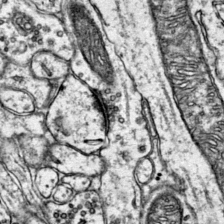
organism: Mouse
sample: Primary visual cortex